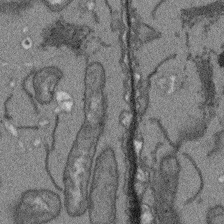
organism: Arabidopsis thaliana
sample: Root tip